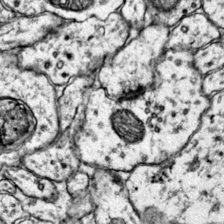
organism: Mouse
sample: Primary visual cortex